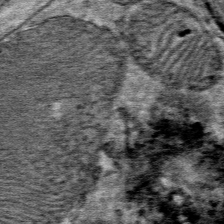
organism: Mouse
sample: Mouse Salivary gland